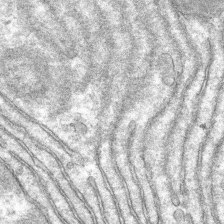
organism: Mouse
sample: Mouse hepatocytes